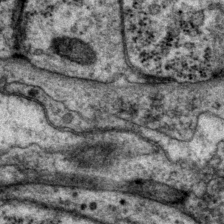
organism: P. pacificus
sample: Pharynx